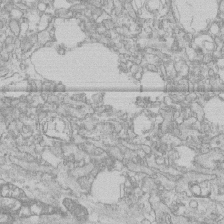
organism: Human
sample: CRL-1474